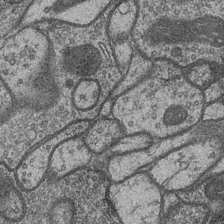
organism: Drosophila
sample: Optic medulla